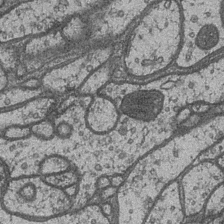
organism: Drosophila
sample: Optic medulla